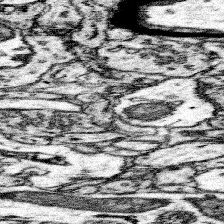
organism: Mouse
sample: Somatosensory cortex neuropil